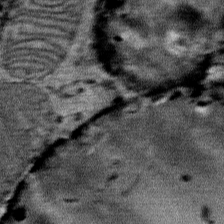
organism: Mouse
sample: Mouse Salivary gland